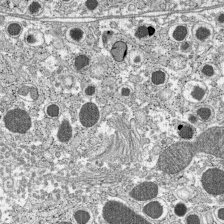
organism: C57BL Mouse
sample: Pancreatic islet